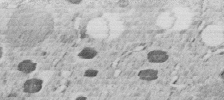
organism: C. elegans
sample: C. elegans embryo early stage